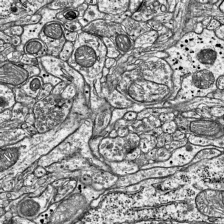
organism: Mouse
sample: Visual Cortex